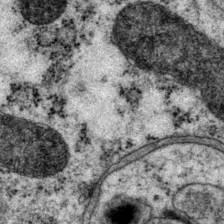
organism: P. pacificus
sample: Pharynx